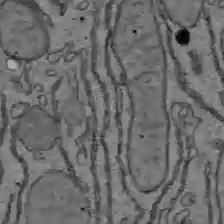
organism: C57BL Mouse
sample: Liver